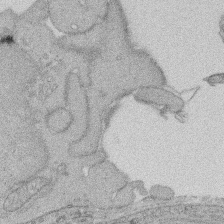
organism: Rat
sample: Salivary granule